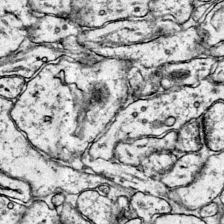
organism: Mouse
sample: Primary visual cortex